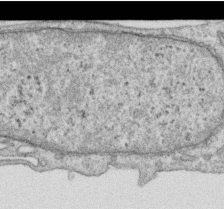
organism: Human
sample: Centriole in RPE cells